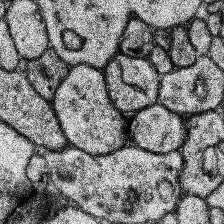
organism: Human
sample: Temporal Lobe